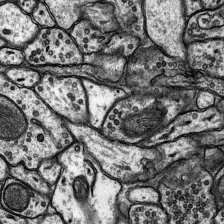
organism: Rat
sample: Hippocampus